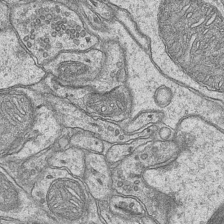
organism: Mouse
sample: CA1 Hippocampus